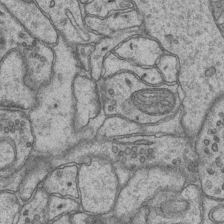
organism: Mouse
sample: CA1 Hippocampus